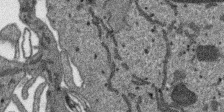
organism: Human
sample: Lung epithelial cells infected with SARS-CoV-2